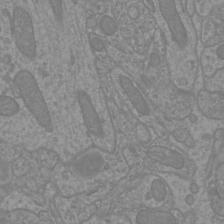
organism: Mouse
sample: Cortical neurons